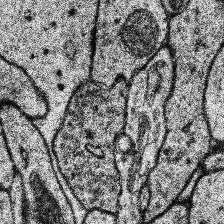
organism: Human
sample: Temporal Lobe